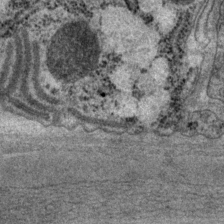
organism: P. pacificus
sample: Pharynx